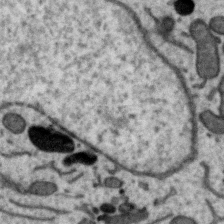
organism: Zebra finch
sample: Brain